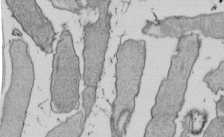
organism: E. coli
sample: Bacterial nucleoid